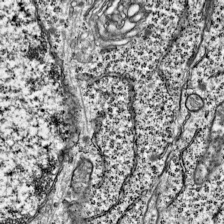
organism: Mouse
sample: Visual Cortex